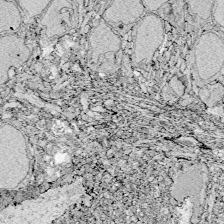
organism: Zebrafish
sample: Whole-Brain